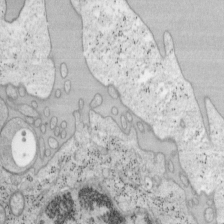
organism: Mouse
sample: OT-I killer T cells with ID8 ovarian cancer cells